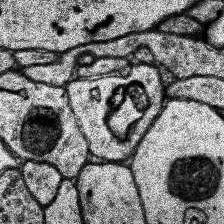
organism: Human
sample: Temporal Lobe